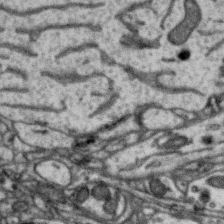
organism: Zebra finch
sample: Brain